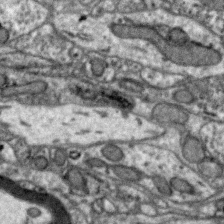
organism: Zebra finch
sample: Brain